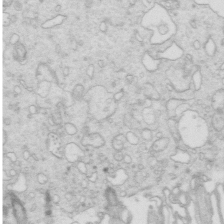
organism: Mouse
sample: Multiciliated cells